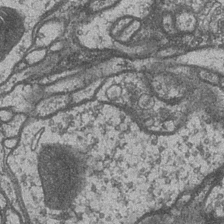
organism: Drosophila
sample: Optic medulla